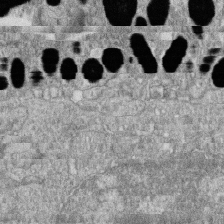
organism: Zebrafish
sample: Cilia; retinal pigment epithelium